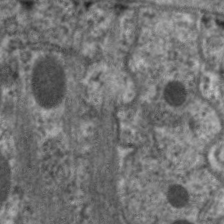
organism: C. elegans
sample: Pharynx